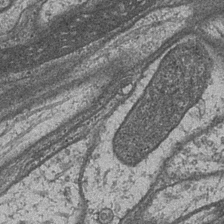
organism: Drosophila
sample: Optic medulla